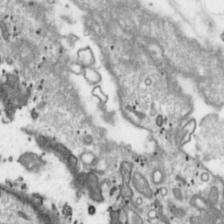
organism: Toxoplasma gondii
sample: Parasites in a vacuole inside a host cell